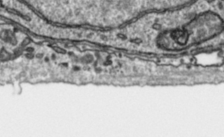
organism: Toxoplasma gondii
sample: Parasites in a vacuole inside a host cell